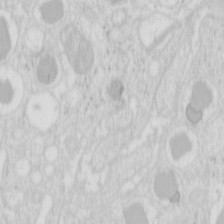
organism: Mouse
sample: Pancreas